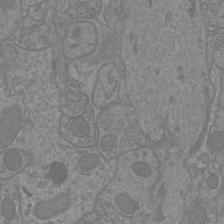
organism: Mouse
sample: Cortical neurons